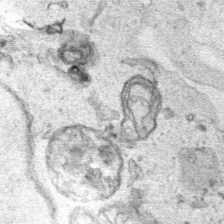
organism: Human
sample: Mitochondria in HCT116 cells